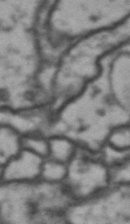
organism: Drosophila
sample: Brain